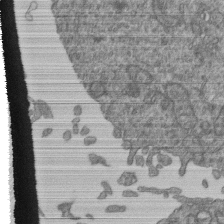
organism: Human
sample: Retinal organoid Rod and Cone cells